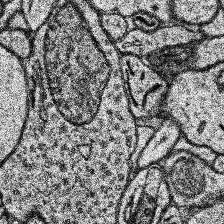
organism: Human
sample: Temporal Lobe